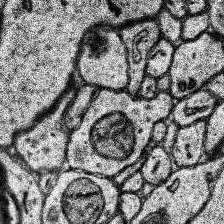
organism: Human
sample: Temporal Lobe